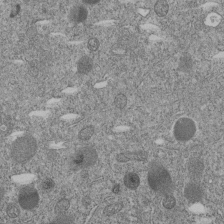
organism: C. elegans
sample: C. elegans embryo early stage